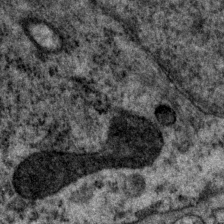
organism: P. pacificus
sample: Pharynx